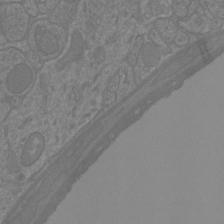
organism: Mouse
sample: Cortical neurons